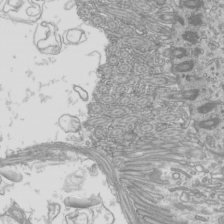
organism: Mouse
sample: Cilia; mouse epididymis